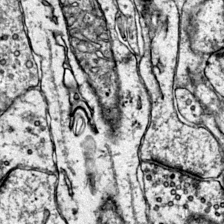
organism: Mouse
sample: Primary visual cortex